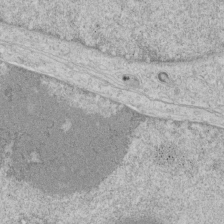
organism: Human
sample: Mitochondria in HCT116 cells